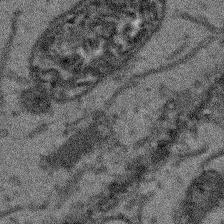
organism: Arabidopsis thaliana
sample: Root tip